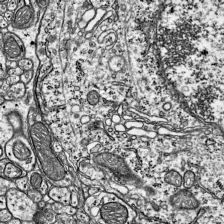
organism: Mouse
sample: Visual Cortex